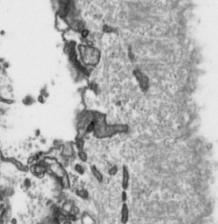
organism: Toxoplasma gondii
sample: Parasites in a vacuole inside a host cell